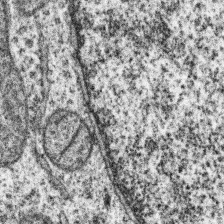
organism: Human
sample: HeLa cells